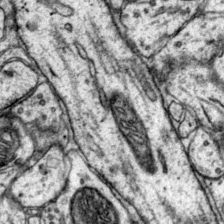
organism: Mouse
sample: Primary visual cortex